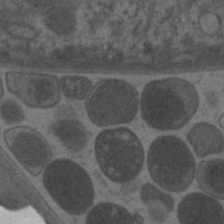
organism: C. elegans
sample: Pharynx